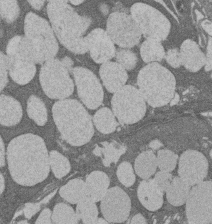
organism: Rat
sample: Salivary granule